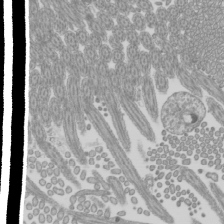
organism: Mouse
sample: Cilia; mouse epididymis